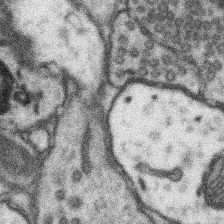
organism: Mouse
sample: Somatosensory cortex neuropil